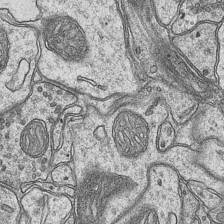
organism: Mouse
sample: CA1 Hippocampus